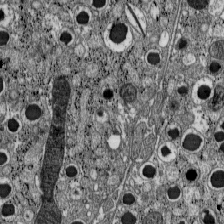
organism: C57BL Mouse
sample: Pancreatic islet